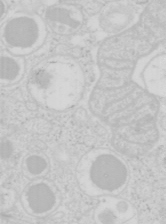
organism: Mouse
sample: Pancreas